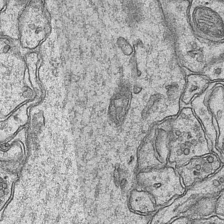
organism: Mouse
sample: CA1 Hippocampus